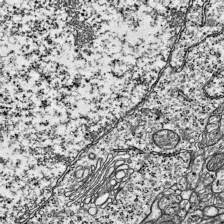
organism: Mouse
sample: Visual Cortex